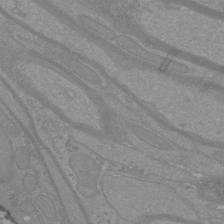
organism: Mouse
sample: Cortical neurons